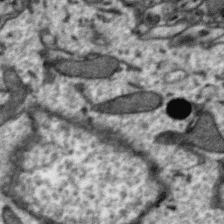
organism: Zebra finch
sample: Brain